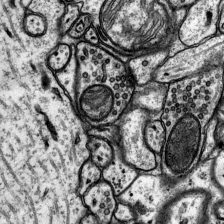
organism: Rat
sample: Hippocampus